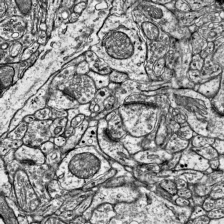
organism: Mouse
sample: Visual Cortex